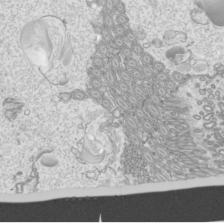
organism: Mouse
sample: Cilia; mouse epididymis